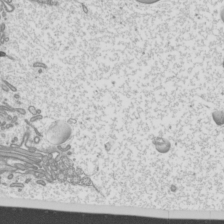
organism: Mouse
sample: Cilia; mouse epididymis